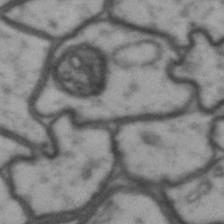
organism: Drosophila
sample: Brain